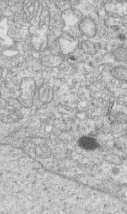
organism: Human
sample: HeLa cell HIV synapse